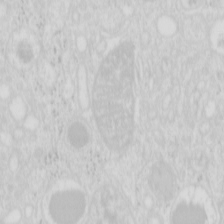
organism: Mouse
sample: Pancreas